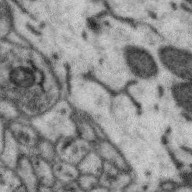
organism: Zebra finch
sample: Brain